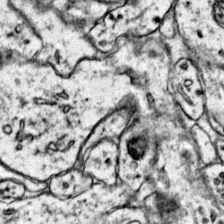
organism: Mouse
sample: Primary visual cortex